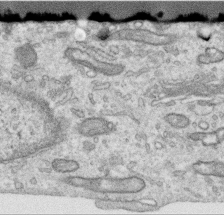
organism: Human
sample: Centriole in RPE cells